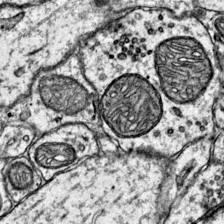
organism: Mouse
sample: Primary visual cortex